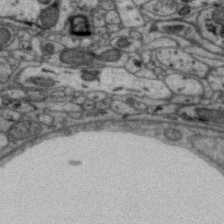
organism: Zebra finch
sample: Brain